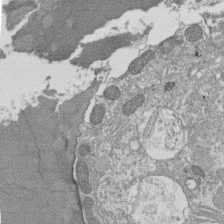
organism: Tetrahymena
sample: Cilia in tetrahymena